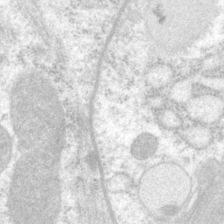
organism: P. pacificus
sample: Pharynx